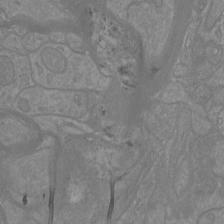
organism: Mouse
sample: Cortical neurons